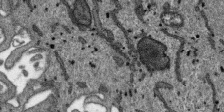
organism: Human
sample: Lung epithelial cells, uninfected (mock) control